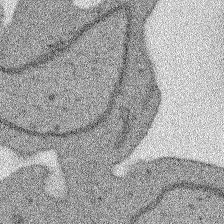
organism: Human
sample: HeLa cells